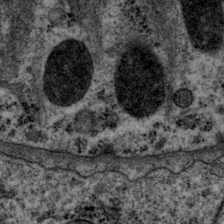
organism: P. pacificus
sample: Pharynx